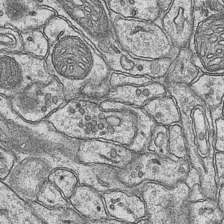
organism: Mouse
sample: CA1 Hippocampus